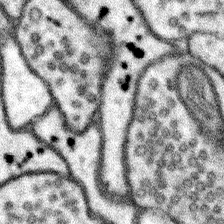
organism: Mouse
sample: Somatosensory cortex neuropil